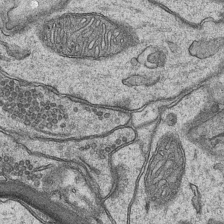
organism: Mouse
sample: CA1 Hippocampus